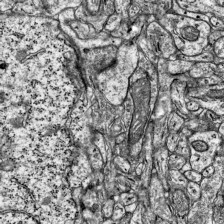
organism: Mouse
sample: Visual Cortex